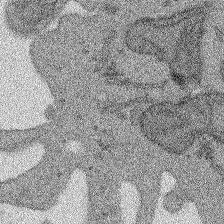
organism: Human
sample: HeLa cells